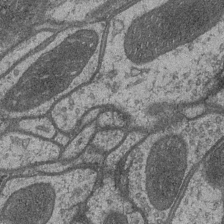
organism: Drosophila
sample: Optic medulla